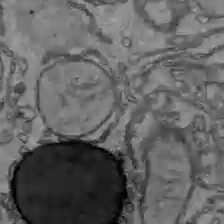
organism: C57BL Mouse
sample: Liver